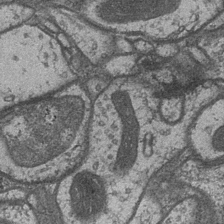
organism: Drosophila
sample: Optic medulla